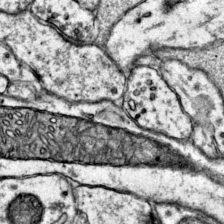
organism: Mouse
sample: Primary visual cortex